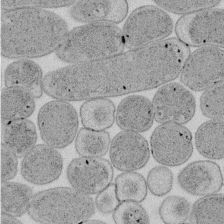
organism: E. coli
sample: Bacterial nucleoid